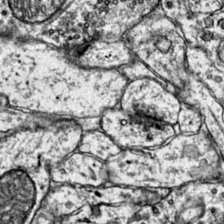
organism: Mouse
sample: Primary visual cortex